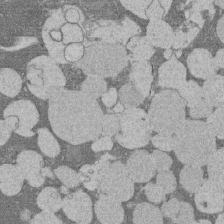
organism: Rat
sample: Salivary granule